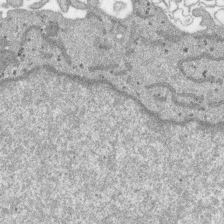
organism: Human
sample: Lung epithelial cells infected with SARS-CoV-2